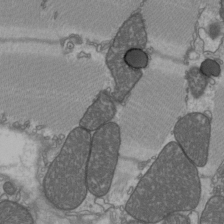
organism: C57BL Mouse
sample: Heart